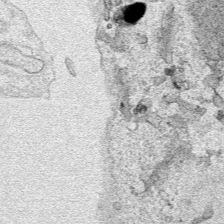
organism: Human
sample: Mitochondria in HCT116 cells